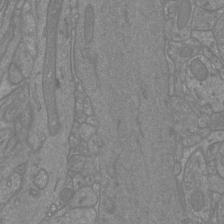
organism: Mouse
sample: Cortical neurons